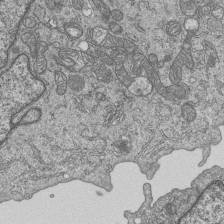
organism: Human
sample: MDA-MB-231 cells